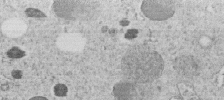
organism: C. elegans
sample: C. elegans embryo early stage